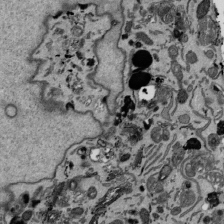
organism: Mouse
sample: ED-1 cell nuclei; centrioles